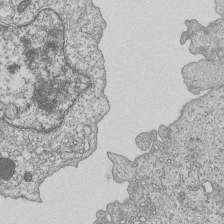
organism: Human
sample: MDA-MB-231 cells